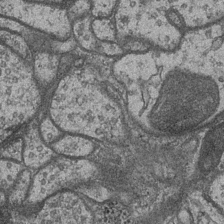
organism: Drosophila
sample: Optic medulla